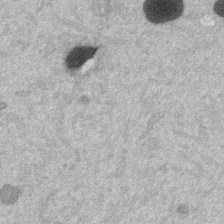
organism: Mouse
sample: Dividing mouse embryo 1 cell stage